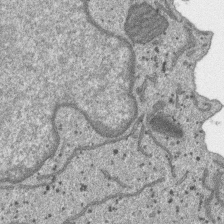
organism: Human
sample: Lung epithelial cells infected with SARS-CoV-2